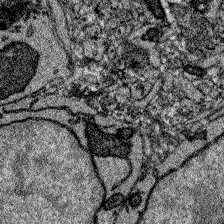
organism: Zebrafish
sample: Larval olfactory bulb